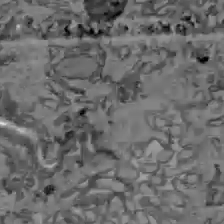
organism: C57BL Mouse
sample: Liver